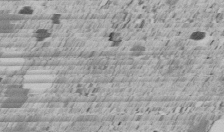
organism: C. elegans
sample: C. elegans embryo early stage